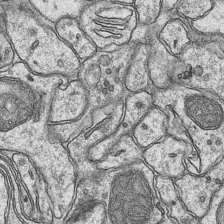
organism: Mouse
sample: CA1 Hippocampus